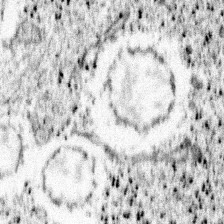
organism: Human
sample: HeLa cells